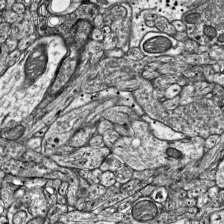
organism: Mouse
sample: Visual Cortex